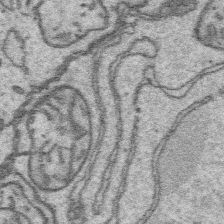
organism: Platynereis dumerilii